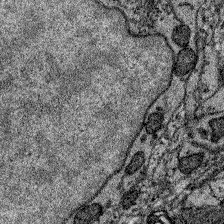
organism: Zebrafish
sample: Larval olfactory bulb